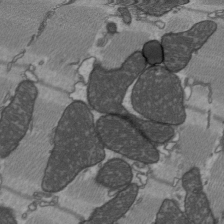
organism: C57BL Mouse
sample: Heart